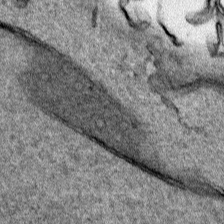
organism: Human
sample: Mitochondria in HCT116 cells